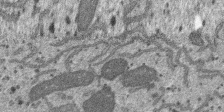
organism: Human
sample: Lung epithelial cells infected with SARS-CoV-2